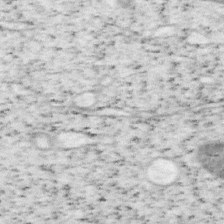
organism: Mouse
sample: OT-I killer T cells with ID8 ovarian cancer cells